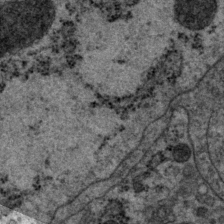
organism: P. pacificus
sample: Pharynx